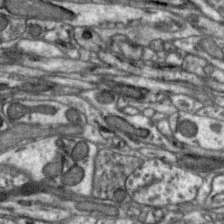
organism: Zebra finch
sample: Brain